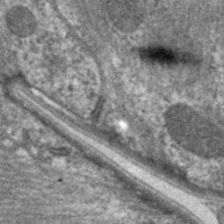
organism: C. elegans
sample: Pharynx